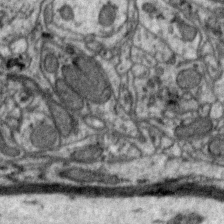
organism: Zebra finch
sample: Brain